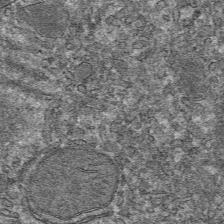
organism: Mouse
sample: Mouse hepatocytes